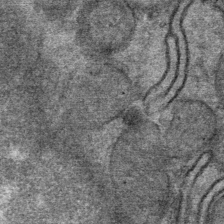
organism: Mouse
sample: Mouse Salivary gland